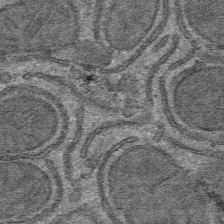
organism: Mouse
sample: Mouse hepatocytes